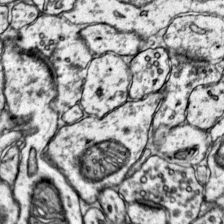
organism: Mouse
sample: Primary visual cortex